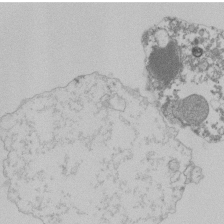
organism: Mouse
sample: Activated Pmel transgenic CD8+ T Cells